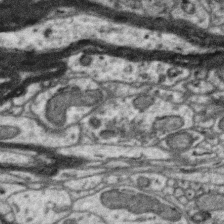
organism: Zebra finch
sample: Brain